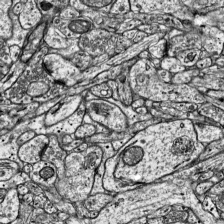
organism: Mouse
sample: Visual Cortex